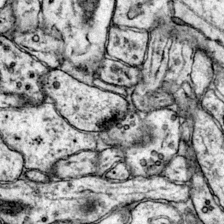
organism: Mouse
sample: Primary visual cortex